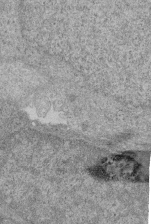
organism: Human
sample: Retinal organoid Rod and Cone cells